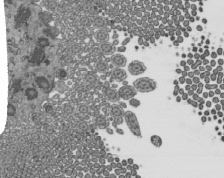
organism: Mouse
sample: Mouse epididymis efferent ductule cilia